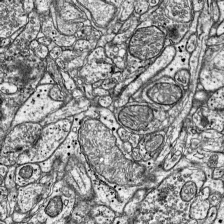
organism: Mouse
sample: Visual Cortex